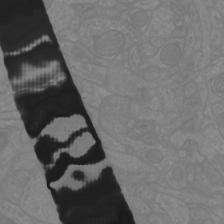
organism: Mouse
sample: Cortical neurons